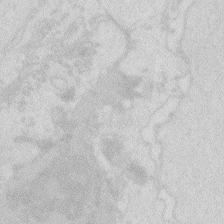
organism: Zebrafish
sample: Macrophage